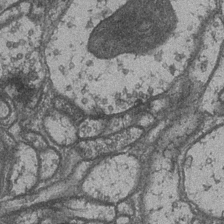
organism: Drosophila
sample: Optic medulla